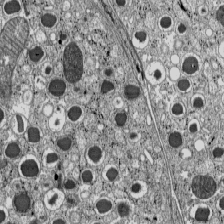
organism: C57BL Mouse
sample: Pancreatic islet